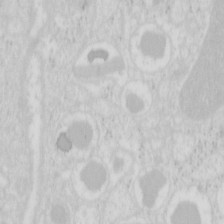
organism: Mouse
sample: Pancreas